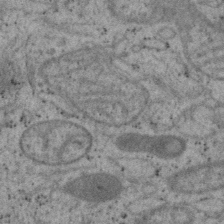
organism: Human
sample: HeLa cells